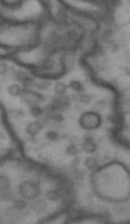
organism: Drosophila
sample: Brain